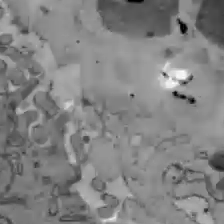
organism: C57BL Mouse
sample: Liver